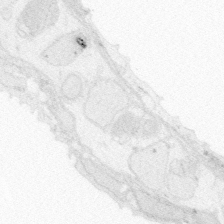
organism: Zebrafish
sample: Whole-Brain